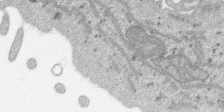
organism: Human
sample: Lung epithelial cells infected with SARS-CoV-2